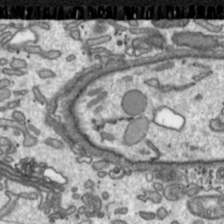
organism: Toxoplasma gondii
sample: Parasites in a vacuole inside a host cell